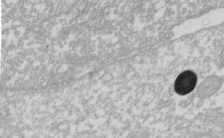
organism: Xenopus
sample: Cilia; centrioles in frog embryo cells